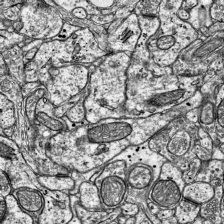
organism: Mouse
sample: Visual Cortex